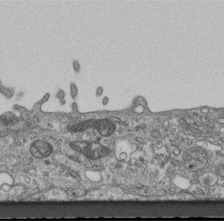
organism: Mouse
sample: Centriole in ependymal cells